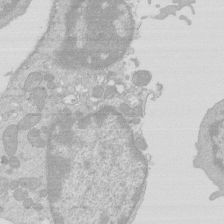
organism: Mouse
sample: Activated Pmel transgenic CD8+ T Cells